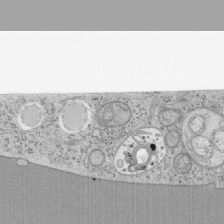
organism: Human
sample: HeLa cells